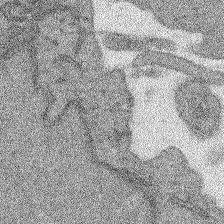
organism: Human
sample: HeLa cells